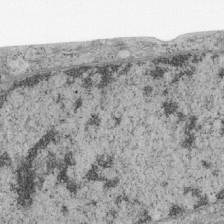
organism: Human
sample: HeLa cells